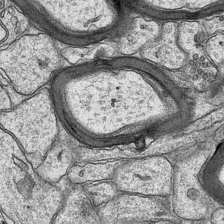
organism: Mouse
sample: CA1 Hippocampus